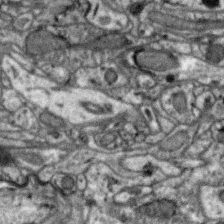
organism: Zebra finch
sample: Brain